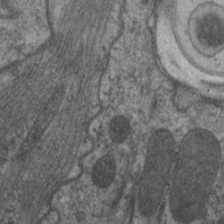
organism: C. elegans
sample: Pharynx